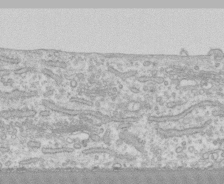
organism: Human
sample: CRL-1474